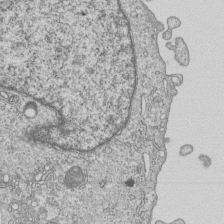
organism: Human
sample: MDA-MB-231 cells